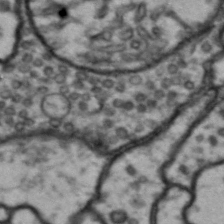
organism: Drosophila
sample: Brain